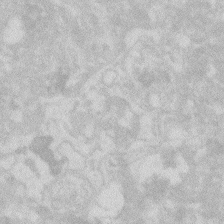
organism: Zebrafish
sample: Macrophage